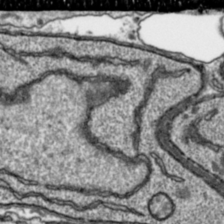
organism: Toxoplasma gondii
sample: Parasites in a vacuole inside a host cell